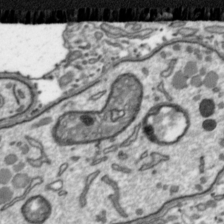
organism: Toxoplasma gondii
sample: Parasites in a vacuole inside a host cell